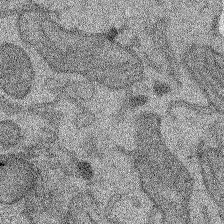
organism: Human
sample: HeLa cells